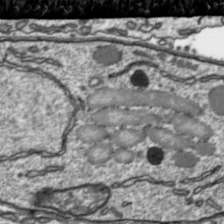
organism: Toxoplasma gondii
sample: Parasites in a vacuole inside a host cell